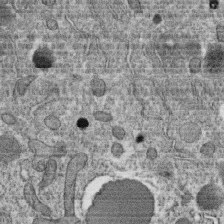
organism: C. elegans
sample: C. elegans oocyte; sperm cells